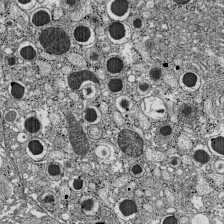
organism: C57BL Mouse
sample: Pancreatic islet